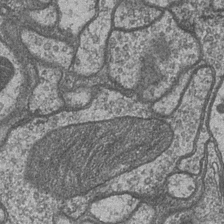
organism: Drosophila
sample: Optic medulla